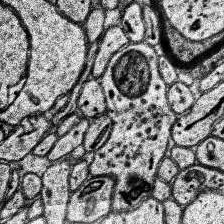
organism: Human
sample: Temporal Lobe